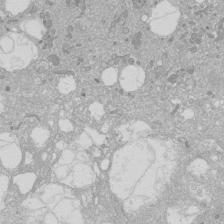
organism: Human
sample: Caco-2 cells